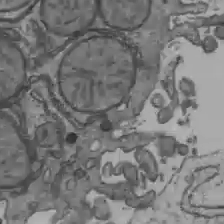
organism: C57BL Mouse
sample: Liver